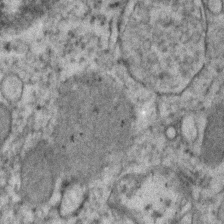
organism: Human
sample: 1205lu cells